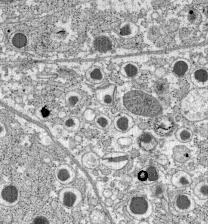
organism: C57BL Mouse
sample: Pancreatic islet